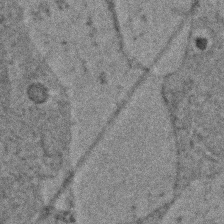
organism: Zebrafish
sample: Zebrafish embryo